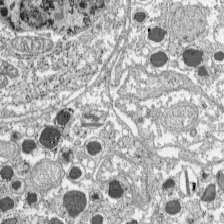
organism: C57BL Mouse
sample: Pancreatic islet